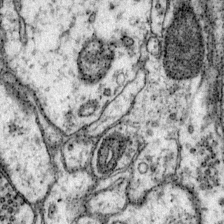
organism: Mouse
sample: Primary visual cortex